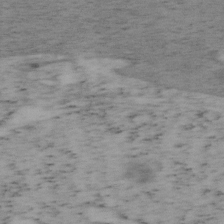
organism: Mouse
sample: OT-I killer T cells with ID8 ovarian cancer cells